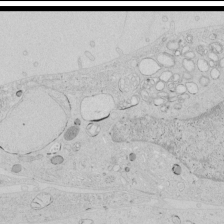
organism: Human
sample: Mitochondria in HCT116 cells